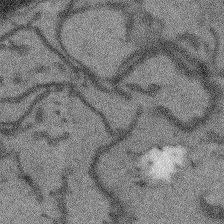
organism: Arabidopsis thaliana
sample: Root tip